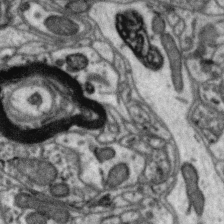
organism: Zebra finch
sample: Brain